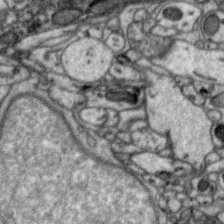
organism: Zebra finch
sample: Brain